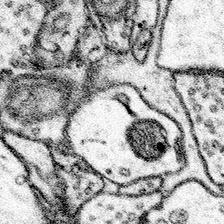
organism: Mouse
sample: Somatosensory cortex neuropil